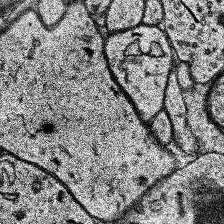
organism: Human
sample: Temporal Lobe